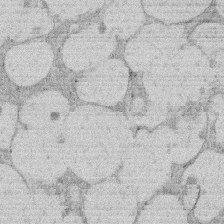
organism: Rat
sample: Salivary granule